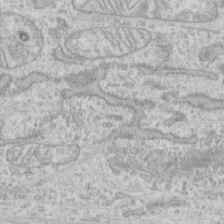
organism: Human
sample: CRL-1474